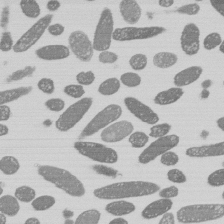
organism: E. coli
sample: Bacterial nucleoid